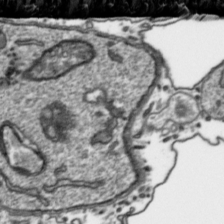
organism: Toxoplasma gondii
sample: Parasites in a vacuole inside a host cell